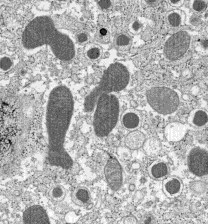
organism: C57BL Mouse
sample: Pancreatic islet